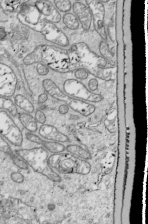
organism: Drosophila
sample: Cell division; meiosis; drosophila spermatocytes